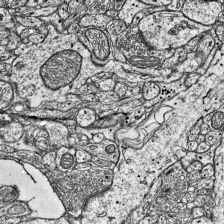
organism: Mouse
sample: Visual Cortex